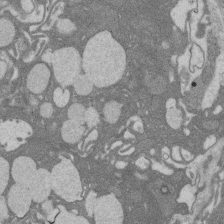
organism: Rat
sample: Salivary granule